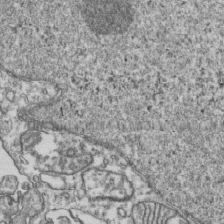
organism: Human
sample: Activated Jurkat CD4+ T cells